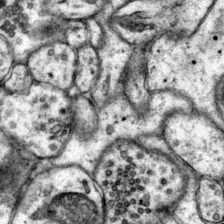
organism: Mouse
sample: Primary visual cortex